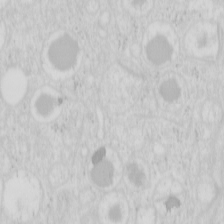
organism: Mouse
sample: Pancreas